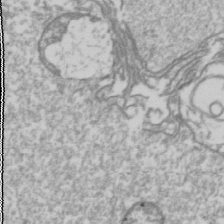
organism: Drosophila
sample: Cell division; meiosis; drosophila spermatocytes